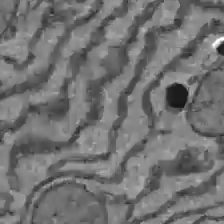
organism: C57BL Mouse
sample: Liver